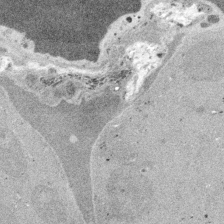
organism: Embia sp.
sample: Silk gland